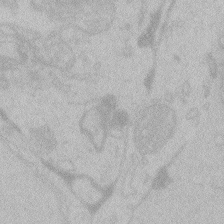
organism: Zebrafish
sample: Macrophage infected with Toxoplasma gondii